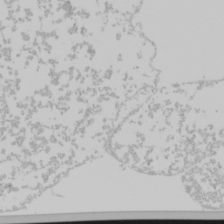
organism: Mouse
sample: Cancer cell death in ED-1 cells